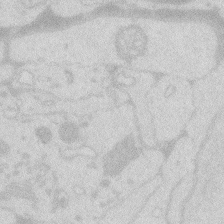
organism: Zebrafish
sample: Macrophage